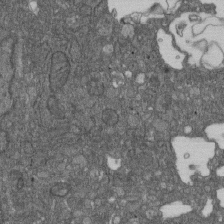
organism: Drosophila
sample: Nephrocyte